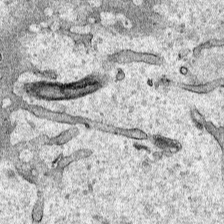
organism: Human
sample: Mitochondria in HCT116 cells